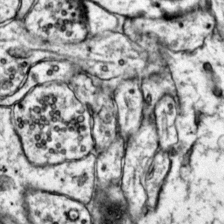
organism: Mouse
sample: Primary visual cortex